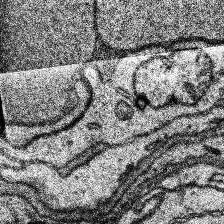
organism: Human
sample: Temporal Lobe